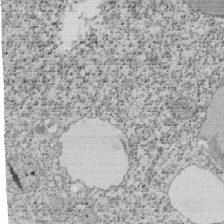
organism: Tetrahymena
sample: Cilia in tetrahymena